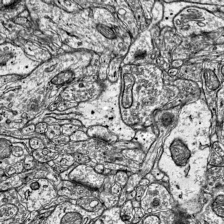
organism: Mouse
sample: Visual Cortex